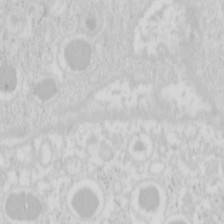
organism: Mouse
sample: Pancreas